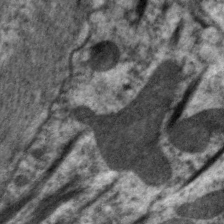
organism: C. elegans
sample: Pharynx